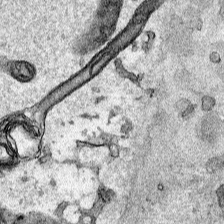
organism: Human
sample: Mitochondria in HCT116 cells